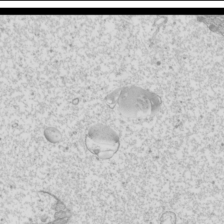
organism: Mouse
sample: Cilia; mouse epididymis